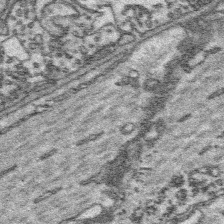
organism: Platynereis dumerilii